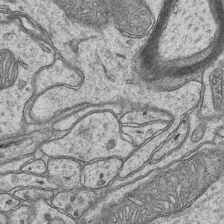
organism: Mouse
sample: CA1 Hippocampus